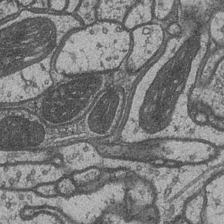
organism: Drosophila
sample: Optic medulla